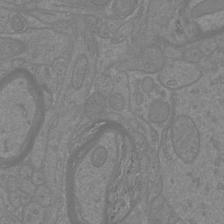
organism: Mouse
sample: Cortical neurons